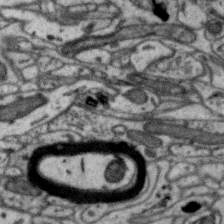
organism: Zebra finch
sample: Brain